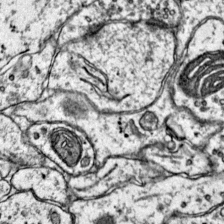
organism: Mouse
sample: Primary visual cortex